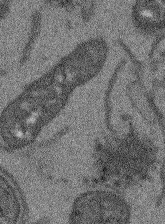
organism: Arabidopsis thaliana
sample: Root tip